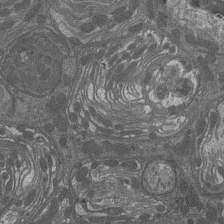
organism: Drosophila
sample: Antenna